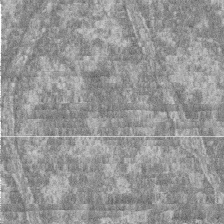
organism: Zebrafish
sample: Cilia; retinal pigment epithelium